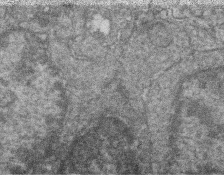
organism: Zebrafish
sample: Cilia; retinal pigment epithelium